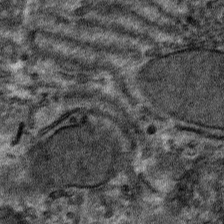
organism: Mouse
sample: Mouse hepatocytes